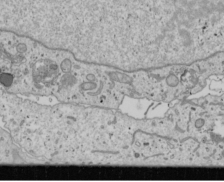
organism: Human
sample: Mitochondria in U2OS cells